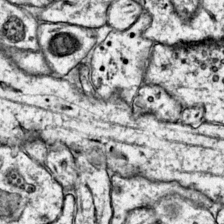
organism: Mouse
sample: Primary visual cortex